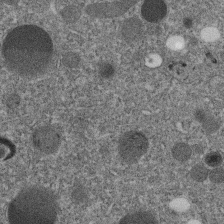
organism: C. elegans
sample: C. elegans embryo early stage